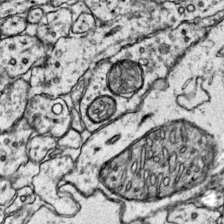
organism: Mouse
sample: Primary visual cortex